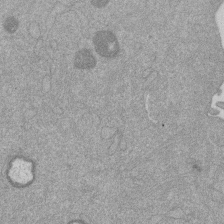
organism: Mouse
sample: Dividing mouse embryo 1 cell stage